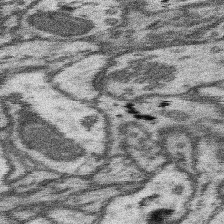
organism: Mouse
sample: Somatosensory cortex neuropil